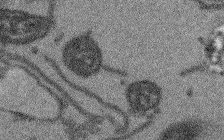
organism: Arabidopsis thaliana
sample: Root tip